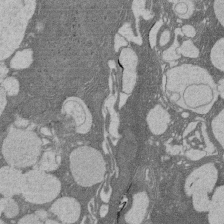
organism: Rat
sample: Salivary granule